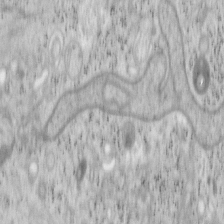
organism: Human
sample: HeLa cells